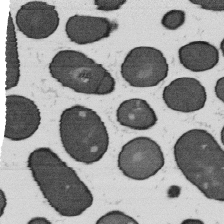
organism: B. subtilis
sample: Bacterial spore